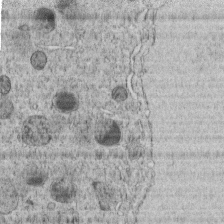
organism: C. elegans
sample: C. elegans embryo early stage